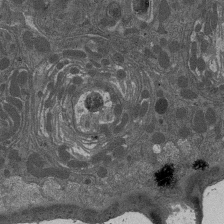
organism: Drosophila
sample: Antenna